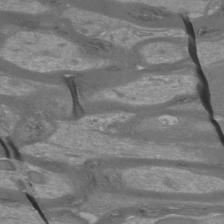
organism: Mouse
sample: Cortical neurons